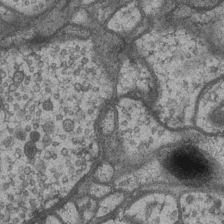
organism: Drosophila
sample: Optic medulla